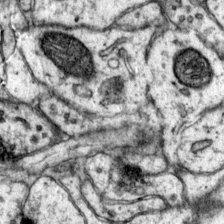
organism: Mouse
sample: Primary visual cortex